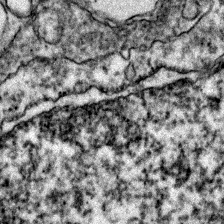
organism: Zebrafish